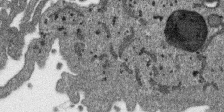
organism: Human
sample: Lung epithelial cells infected with SARS-CoV-2